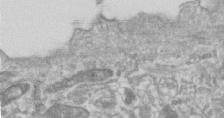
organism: Human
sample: Centriole in RPE cells